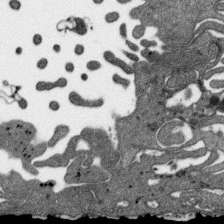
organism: Human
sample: Lung epithelial cells, uninfected (mock) control